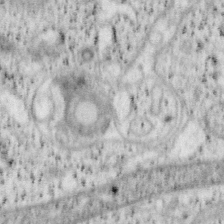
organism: Mouse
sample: OT-I killer T cells with ID8 ovarian cancer cells